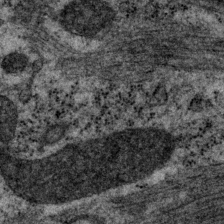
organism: P. pacificus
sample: Pharynx